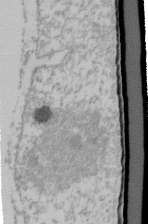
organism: Human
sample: U2-OS cells